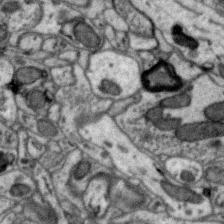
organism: Zebra finch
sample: Brain